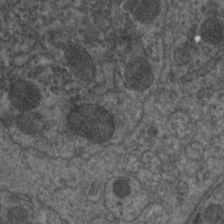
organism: C. elegans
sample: Pharynx